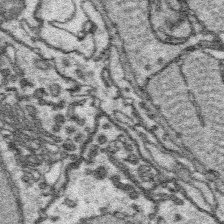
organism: Platynereis dumerilii